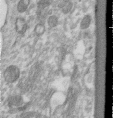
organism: Human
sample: Centriole in RPE cells